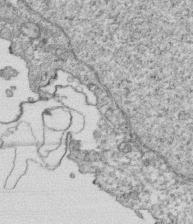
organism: Human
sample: HeLa cell HIV synapse